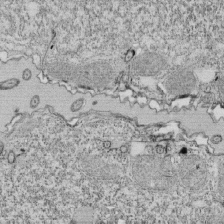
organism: Tetrahymena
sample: Cilia in tetrahymena